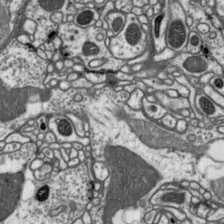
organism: Drosophila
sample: Protocerebral bridge